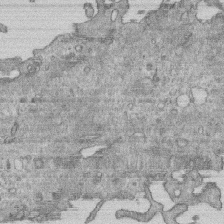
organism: Human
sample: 1205lu cells